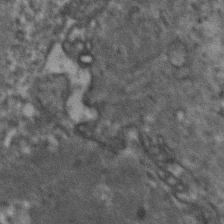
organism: Human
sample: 1205lu cells